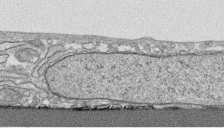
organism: Human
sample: CRL-1474